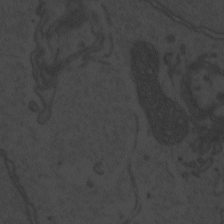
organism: Zebrafish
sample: Macrophage infected with Toxoplasma gondii